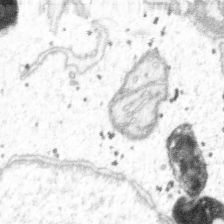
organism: Human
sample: HeLa cells